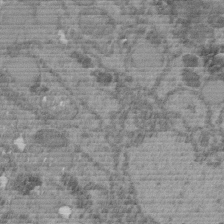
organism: C. elegans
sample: C. elegans embryo early stage